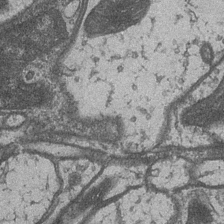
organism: Drosophila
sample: Optic medulla